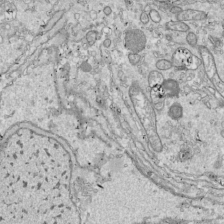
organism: Drosophila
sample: Cell division; meiosis; drosophila spermatocytes